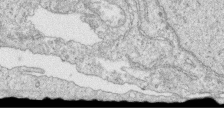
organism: Human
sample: HeLa cell HIV synapse